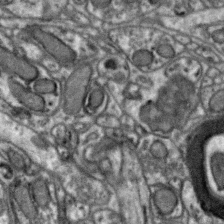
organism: Zebra finch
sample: Brain